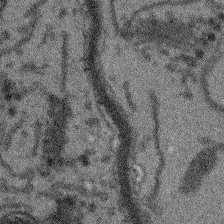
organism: Arabidopsis thaliana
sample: Root tip